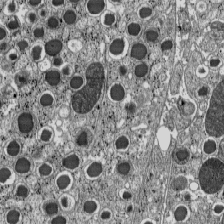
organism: C57BL Mouse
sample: Pancreatic islet